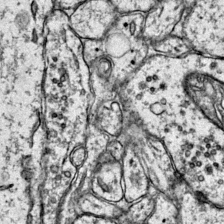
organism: Mouse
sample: Primary visual cortex